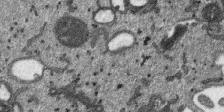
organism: Human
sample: Lung epithelial cells infected with SARS-CoV-2